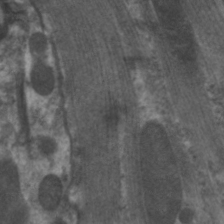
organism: C. elegans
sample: Pharynx